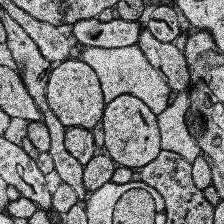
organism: Human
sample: Temporal Lobe